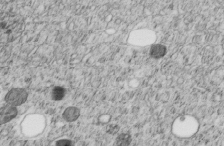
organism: C. elegans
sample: C. elegans embryo early stage